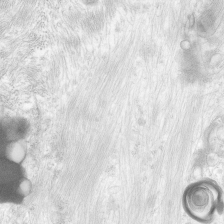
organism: Human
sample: Neocortex